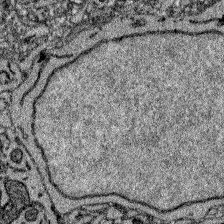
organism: Zebrafish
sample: Larval olfactory bulb